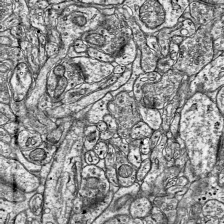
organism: Mouse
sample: Visual Cortex